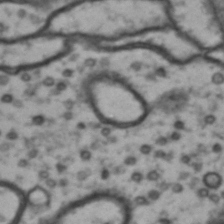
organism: Drosophila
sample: Brain